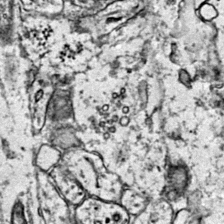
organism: Mouse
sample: Primary visual cortex